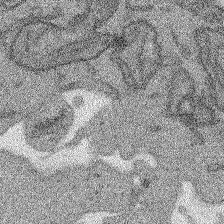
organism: Human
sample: HeLa cells